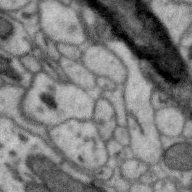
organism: Zebra finch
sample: Brain